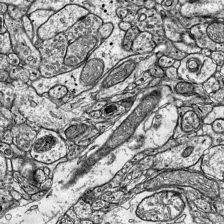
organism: Mouse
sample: Visual Cortex